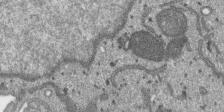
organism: Human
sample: Lung epithelial cells infected with SARS-CoV-2